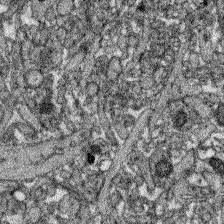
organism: Zebrafish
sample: Larval olfactory bulb